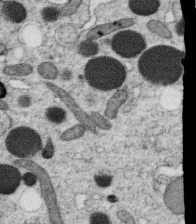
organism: C. elegans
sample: C. elegans oocyte; sperm cells